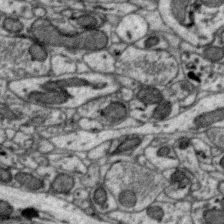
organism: Zebra finch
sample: Brain